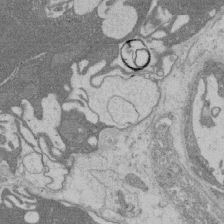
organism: Rat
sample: Salivary granule